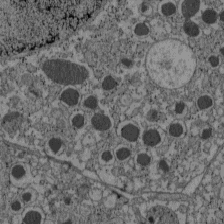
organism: C57BL Mouse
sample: Pancreatic islet